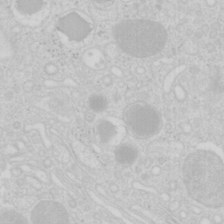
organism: Mouse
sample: Pancreas